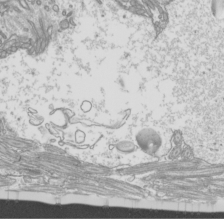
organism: Mouse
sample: Cilia; mouse epididymis